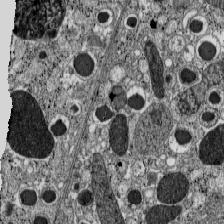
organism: C57BL Mouse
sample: Pancreatic islet